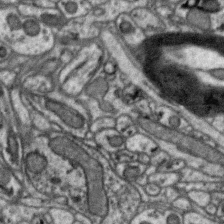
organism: Zebra finch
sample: Brain